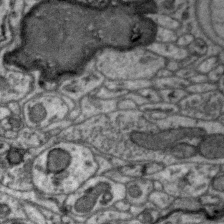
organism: Zebra finch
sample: Brain